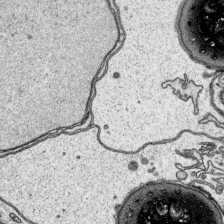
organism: Platynereis dumerilii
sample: Parapodia